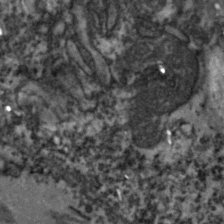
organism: Zebrafish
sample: Zebrafish embryo